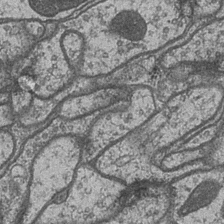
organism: Drosophila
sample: Optic medulla